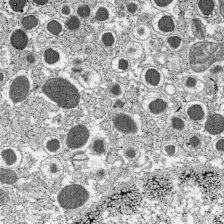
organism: C57BL Mouse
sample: Pancreatic islet